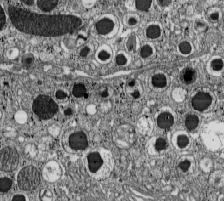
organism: C57BL Mouse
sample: Pancreatic islet